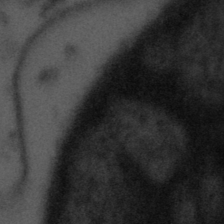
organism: Tuwongella immobilis